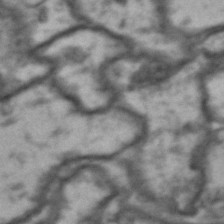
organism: Drosophila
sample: Brain